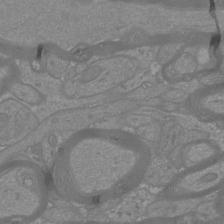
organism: Mouse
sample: Cortical neurons